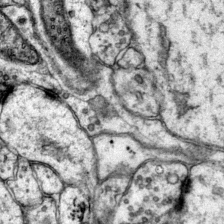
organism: Mouse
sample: Primary visual cortex